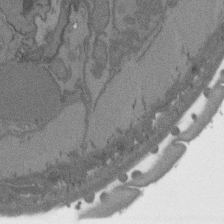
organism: C. elegans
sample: AFD neurons C. elegans